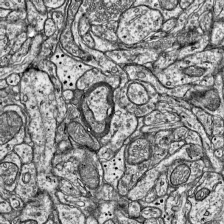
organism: Mouse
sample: Visual Cortex